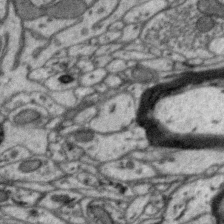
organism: Zebra finch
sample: Brain